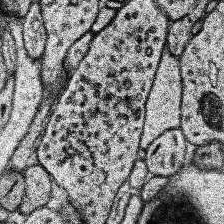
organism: Human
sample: Temporal Lobe